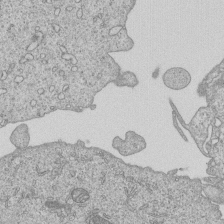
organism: Human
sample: MDA-MB-231 cells